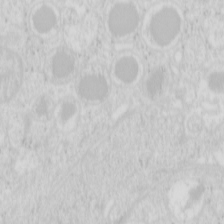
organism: Mouse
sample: Pancreas